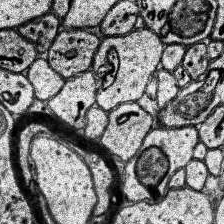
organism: Human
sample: Temporal Lobe